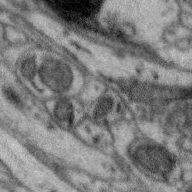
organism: Zebra finch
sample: Brain